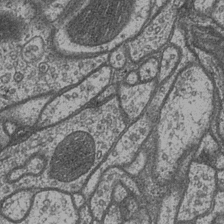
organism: Drosophila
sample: Optic medulla